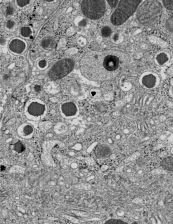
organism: C57BL Mouse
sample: Pancreatic islet